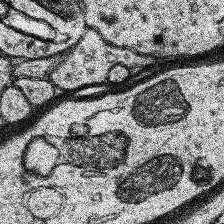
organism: Human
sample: Temporal Lobe